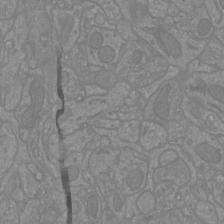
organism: Mouse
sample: Cortical neurons